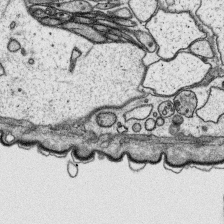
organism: Platynereis dumerilii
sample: Parapodia